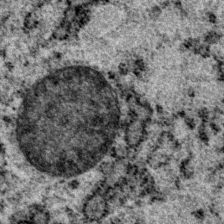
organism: P. pacificus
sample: Pharynx